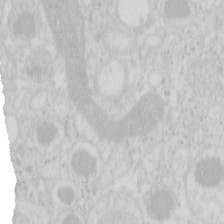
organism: Mouse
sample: Pancreas